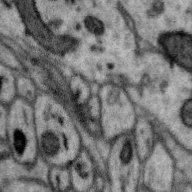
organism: Zebra finch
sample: Brain